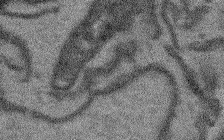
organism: Arabidopsis thaliana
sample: Root tip